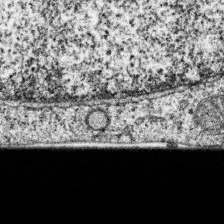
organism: Human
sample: HeLa cells